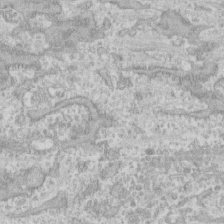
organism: Human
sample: CRL-1474